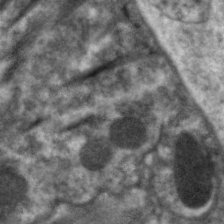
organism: C. elegans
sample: Pharynx